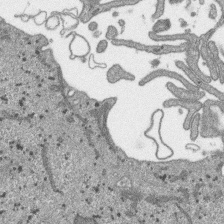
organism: Human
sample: Lung epithelial cells infected with SARS-CoV-2